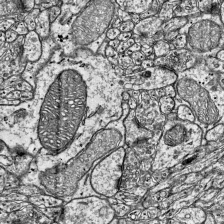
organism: Mouse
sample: Visual Cortex